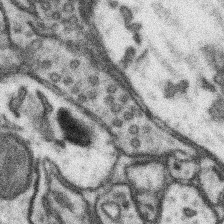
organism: Mouse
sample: Somatosensory cortex neuropil